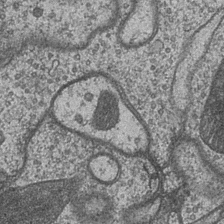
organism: Drosophila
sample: Optic medulla